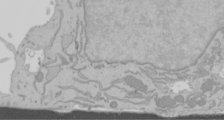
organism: Mouse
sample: Cancer cell death in ED-1 cells